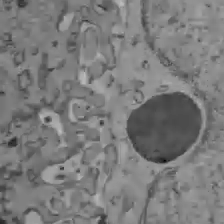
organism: C57BL Mouse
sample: Liver